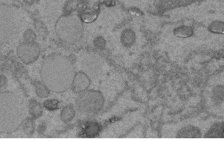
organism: C. elegans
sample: C. elegans embryo early stage